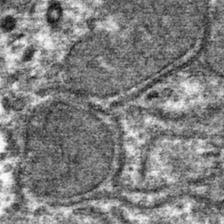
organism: Mouse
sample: Mouse hepatocytes